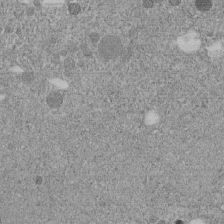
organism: C. elegans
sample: C. elegans embryo early stage